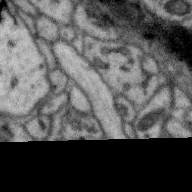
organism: Zebra finch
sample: Brain